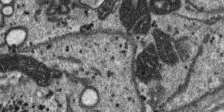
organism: Human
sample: Lung epithelial cells infected with SARS-CoV-2